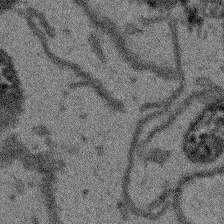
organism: Arabidopsis thaliana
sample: Root tip